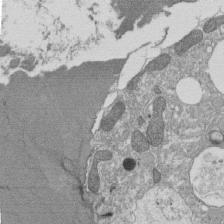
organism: Tetrahymena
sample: Cilia in tetrahymena